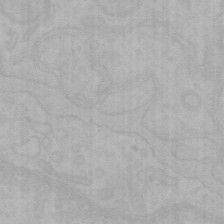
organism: Mouse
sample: Choroid plexus